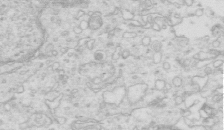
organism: Mouse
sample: Multiciliated cells